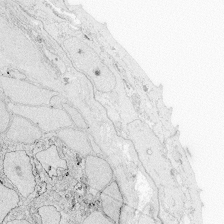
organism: Zebrafish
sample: Whole-Brain